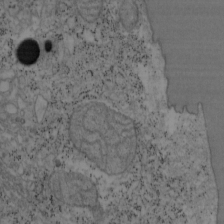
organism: Mouse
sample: OT-I killer T cells with ID8 ovarian cancer cells